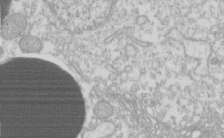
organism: Xenopus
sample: Cilia; centrioles in frog embryo cells